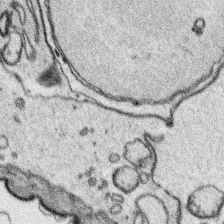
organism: Platynereis dumerilii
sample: Parapodia